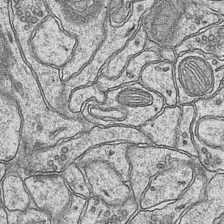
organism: Mouse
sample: CA1 Hippocampus